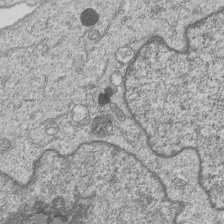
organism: Human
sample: MDA-MB-231 cells